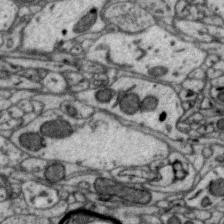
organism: Zebra finch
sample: Brain